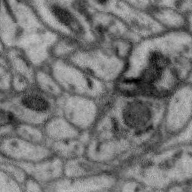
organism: Zebra finch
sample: Brain